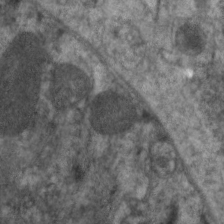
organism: C. elegans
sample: Pharynx